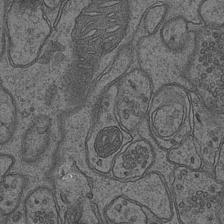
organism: Mouse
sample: CA1 Hippocampus